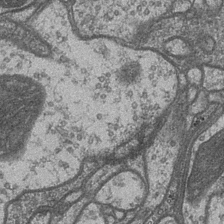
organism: Drosophila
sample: Optic medulla